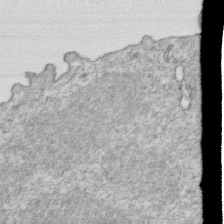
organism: Mouse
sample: Activated OT-1 CD8+ T cells